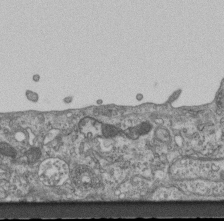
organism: Mouse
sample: Centriole in ependymal cells